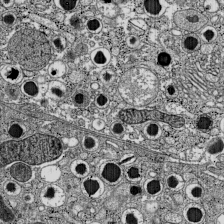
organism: C57BL Mouse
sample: Pancreatic islet